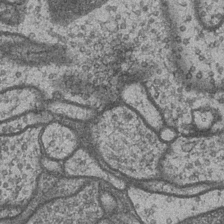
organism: Drosophila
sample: Optic medulla